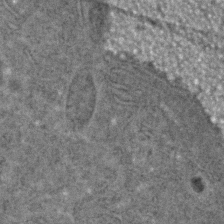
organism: C. elegans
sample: C. elegans embryo